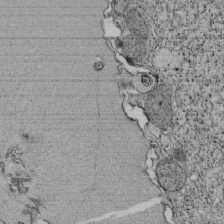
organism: Tetrahymena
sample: Cilia in tetrahymena